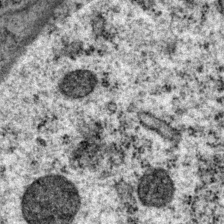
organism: P. pacificus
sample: Pharynx